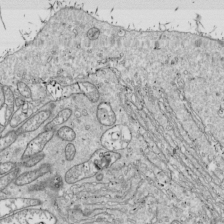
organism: Drosophila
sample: Cell division; meiosis; drosophila spermatocytes